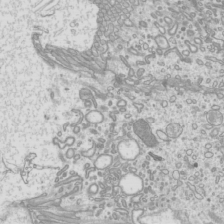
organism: Mouse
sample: Cilia; mouse epididymis